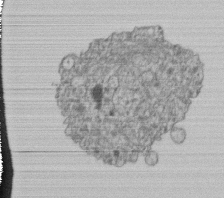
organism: Human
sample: Retinal organoid Rod and Cone cells